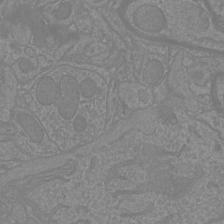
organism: Mouse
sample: Cortical neurons